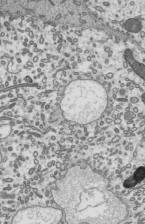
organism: Mouse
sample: Mouse epididymis efferent ductule cilia